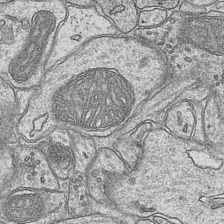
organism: Mouse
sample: CA1 Hippocampus